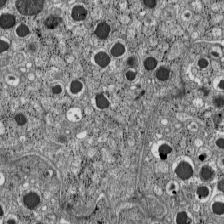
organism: C57BL Mouse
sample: Pancreatic islet